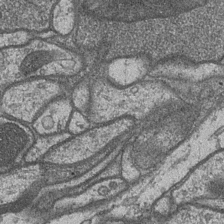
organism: Drosophila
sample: Optic medulla